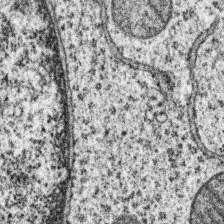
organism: Human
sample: HeLa cells